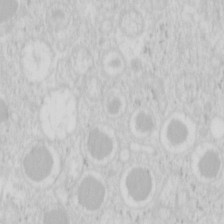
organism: Mouse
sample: Pancreas